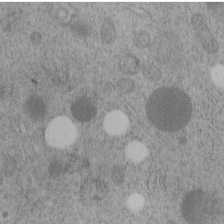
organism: C. elegans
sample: C. elegans embryo early stage